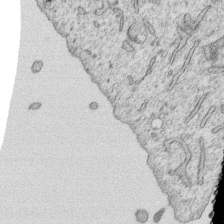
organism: Human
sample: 1205lu cells